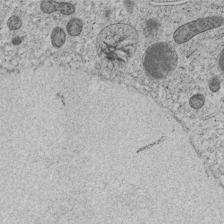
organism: C. elegans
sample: C. elegans embryo early stage